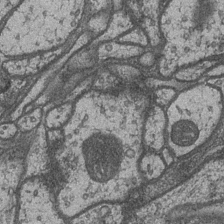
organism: Drosophila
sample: Optic medulla